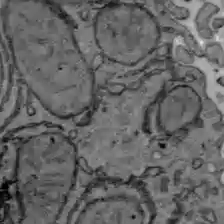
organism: C57BL Mouse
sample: Liver